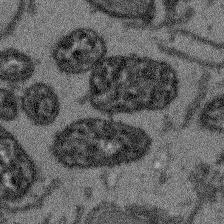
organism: Arabidopsis thaliana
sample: Root tip